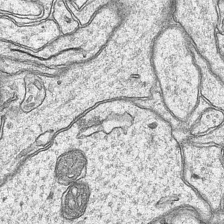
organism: Mouse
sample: CA1 Hippocampus